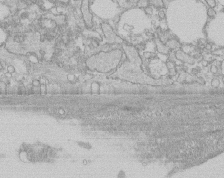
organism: Human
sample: CRL-1474